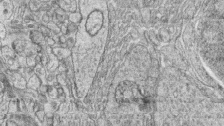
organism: Zebrafish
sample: synaptic ribbons in rod cells and cone cells